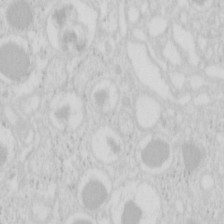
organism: Mouse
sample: Pancreas